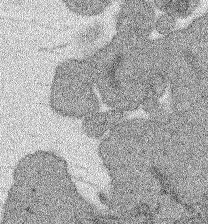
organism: Human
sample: HeLa cells